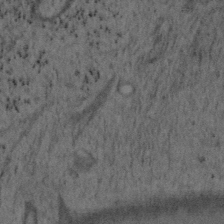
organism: Human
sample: HeLa cells